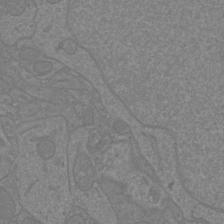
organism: Mouse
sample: Cortical neurons